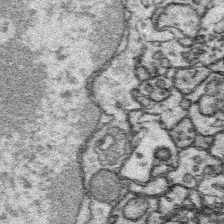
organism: Platynereis dumerilii